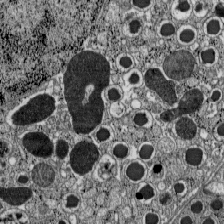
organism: C57BL Mouse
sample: Pancreatic islet